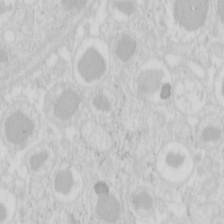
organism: Mouse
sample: Pancreas